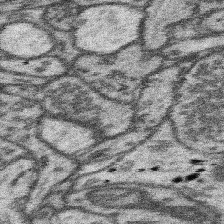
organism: Mouse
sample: Somatosensory cortex neuropil